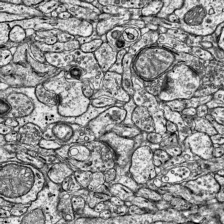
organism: Mouse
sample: Visual Cortex